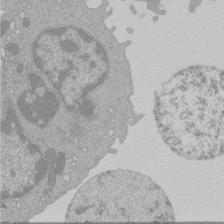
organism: Mouse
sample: Activated Pmel transgenic CD8+ T Cells